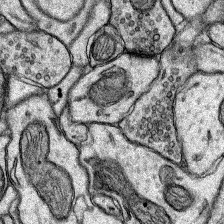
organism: Rat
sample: Hippocampus